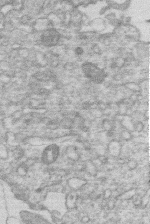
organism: Human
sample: Macrophage cells